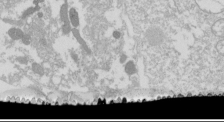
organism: Drosophila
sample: Cell division; meiosis; drosophila spermatocytes